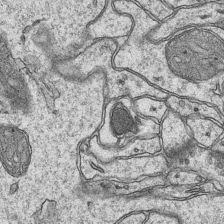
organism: Mouse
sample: CA1 Hippocampus